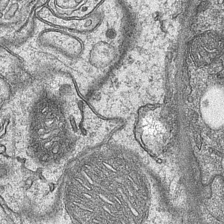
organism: Mouse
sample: CA1 Hippocampus